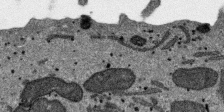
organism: Human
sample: Lung epithelial cells, uninfected (mock) control